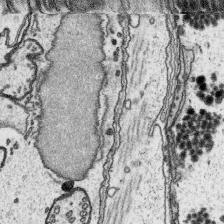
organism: Platynereis dumerilii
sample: Parapodia